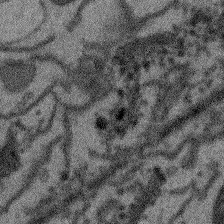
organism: Arabidopsis thaliana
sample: Root tip